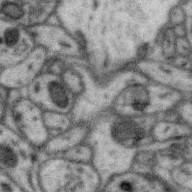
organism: Zebra finch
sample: Brain